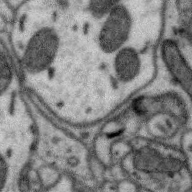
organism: Zebra finch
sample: Brain